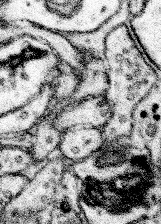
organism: Mouse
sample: Somatosensory cortex neuropil